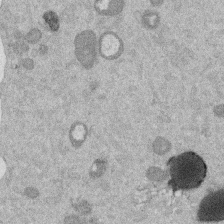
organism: Mouse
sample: Dividing mouse embryo 1 cell stage